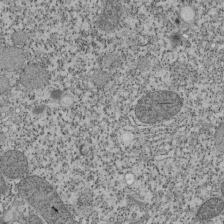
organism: Tetrahymena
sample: Cilia in tetrahymena